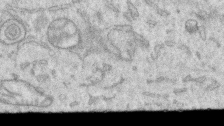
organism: Human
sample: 1205lu cells